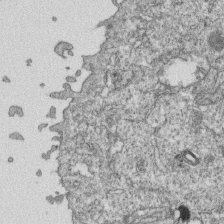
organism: Human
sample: HeLa cell HIV synapse